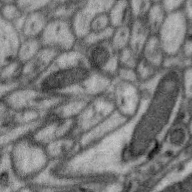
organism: Zebra finch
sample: Brain